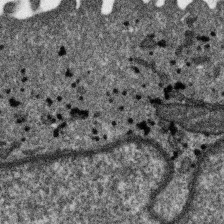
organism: Human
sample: Lung epithelial cells infected with SARS-CoV-2